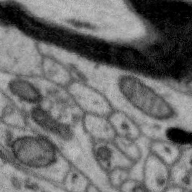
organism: Zebra finch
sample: Brain